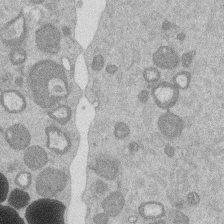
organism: Mouse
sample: Dividing mouse embryo 1 cell stage